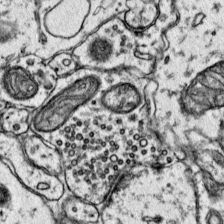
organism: Mouse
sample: Primary visual cortex